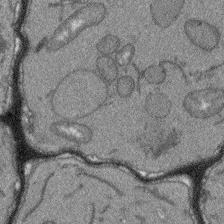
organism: Arabidopsis thaliana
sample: Root tip